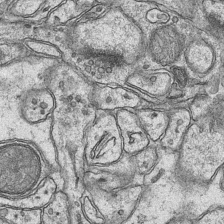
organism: Mouse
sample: CA1 Hippocampus